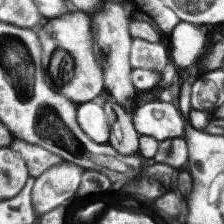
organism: Human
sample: Temporal Lobe